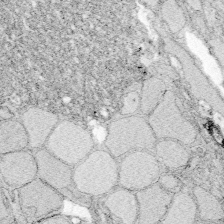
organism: Zebrafish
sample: Whole-Brain